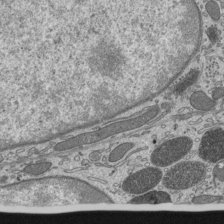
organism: Mouse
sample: Mouse epididymis efferent ductule cilia